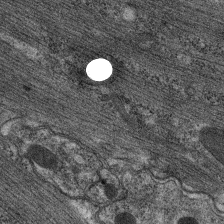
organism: C. elegans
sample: Pharynx